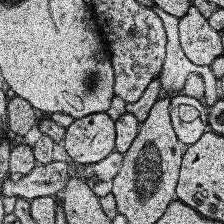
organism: Human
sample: Temporal Lobe